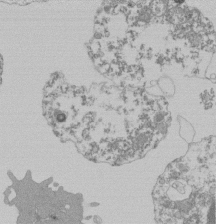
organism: Mouse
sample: Activated Pmel transgenic CD8+ T Cells